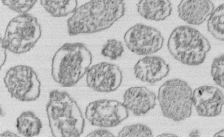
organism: E. coli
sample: Bacterial nucleoid